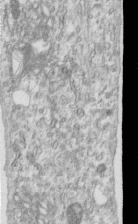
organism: Human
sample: Centriole in RPE cells